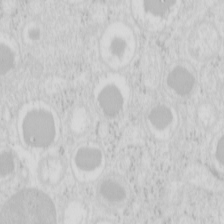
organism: Mouse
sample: Pancreas